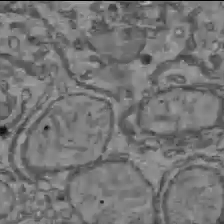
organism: C57BL Mouse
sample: Liver